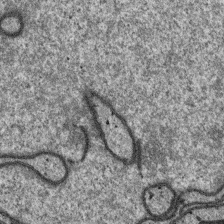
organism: Human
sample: Lung epithelial cells, uninfected (mock) control